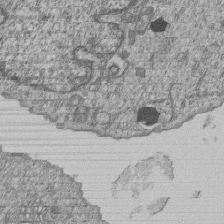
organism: Human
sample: MDA-MB-231 cells